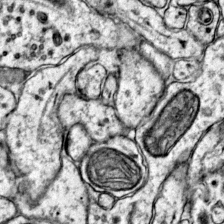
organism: Mouse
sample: Primary visual cortex